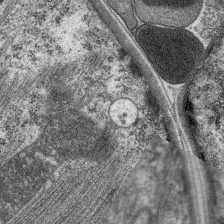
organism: C. elegans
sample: Pharynx